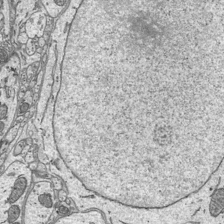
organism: Mouse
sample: Suprachiasmatic nucleus